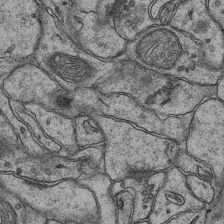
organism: Mouse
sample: CA1 Hippocampus